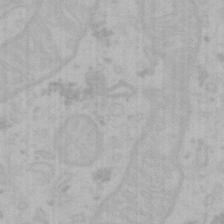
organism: Mouse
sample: Choroid plexus